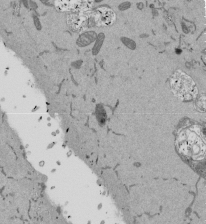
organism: Mouse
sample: ED-1 cell nuclei; centrioles